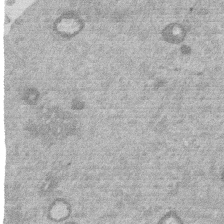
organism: Mouse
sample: Dividing mouse embryo 1 cell stage